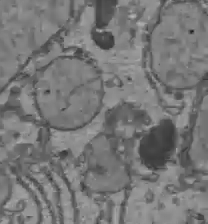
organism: C57BL Mouse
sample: Liver